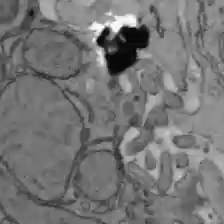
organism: C57BL Mouse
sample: Liver